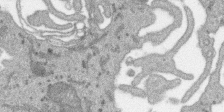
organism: Human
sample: Lung epithelial cells infected with SARS-CoV-2